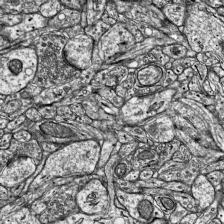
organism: Mouse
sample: Visual Cortex